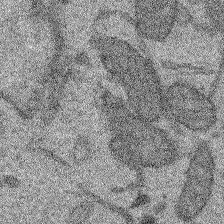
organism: Human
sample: HeLa cells